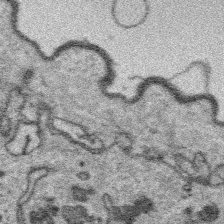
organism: Platynereis dumerilii